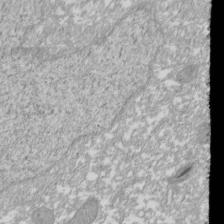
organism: Xenopus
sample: Cilia; centrioles in frog embryo cells